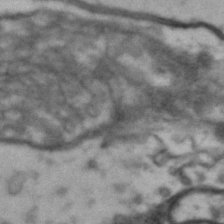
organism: Drosophila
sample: Brain